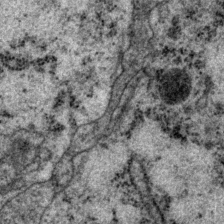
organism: P. pacificus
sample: Pharynx